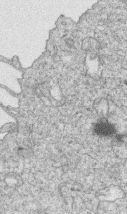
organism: Human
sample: HeLa cell HIV synapse